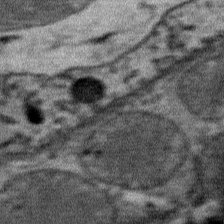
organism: Mouse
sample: Mouse Salivary gland